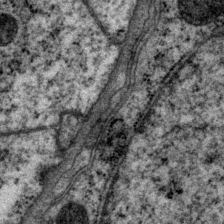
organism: P. pacificus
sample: Pharynx